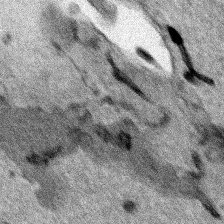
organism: Human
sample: Mitochondria in HCT116 cells